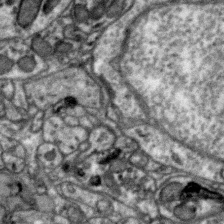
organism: Zebra finch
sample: Brain